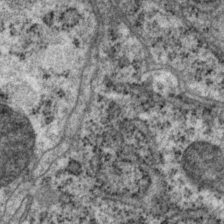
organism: P. pacificus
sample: Pharynx